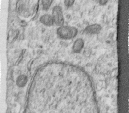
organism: Human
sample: Centriole in RPE cells